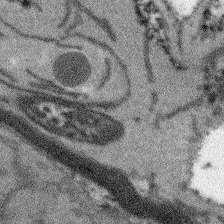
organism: Arabidopsis thaliana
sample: Root tip